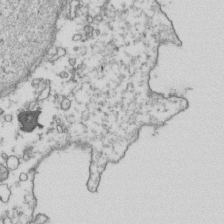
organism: Human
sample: Activated Jurkat CD4+ T cells